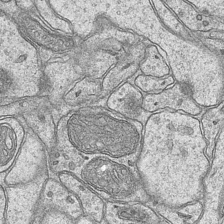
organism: Mouse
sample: CA1 Hippocampus